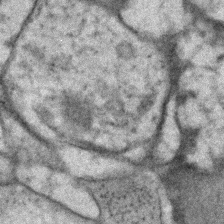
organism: Human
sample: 1205lu cells